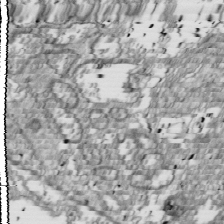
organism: Drosophila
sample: Cell division; meiosis; drosophila spermatocytes